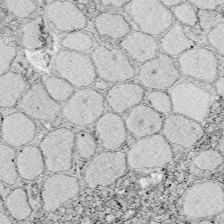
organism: Zebrafish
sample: Whole-Brain